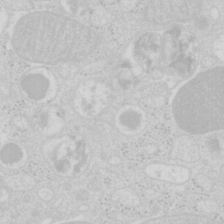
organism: Mouse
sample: Pancreas